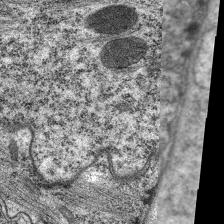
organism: C. elegans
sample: Pharynx